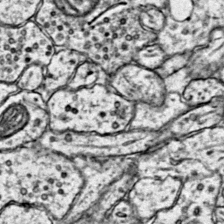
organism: Mouse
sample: Primary visual cortex